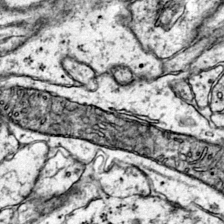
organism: Mouse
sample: Primary visual cortex